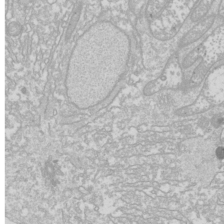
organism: Drosophila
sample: Cell division; meiosis; drosophila spermatocytes